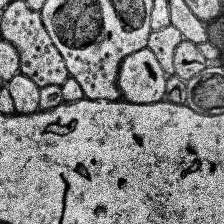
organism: Human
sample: Temporal Lobe